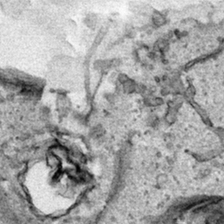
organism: Human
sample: Mitochondria in HCT116 cells